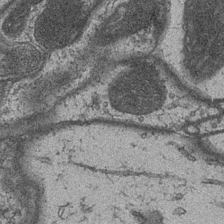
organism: Drosophila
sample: Optic medulla